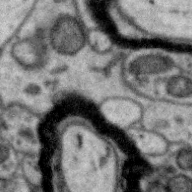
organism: Zebra finch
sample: Brain